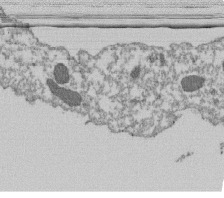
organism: Dictyostelium discoideum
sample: Dictyostelium multivesicular bodies